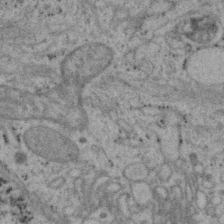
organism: Human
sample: HeLa cells